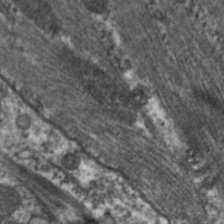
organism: C. elegans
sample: Pharynx